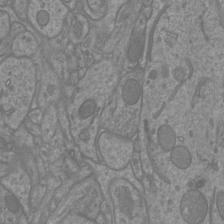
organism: Mouse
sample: Cortical neurons